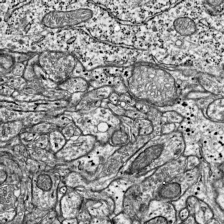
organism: Mouse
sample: Visual Cortex